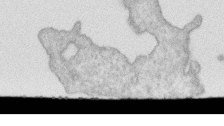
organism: Human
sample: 1205lu cells